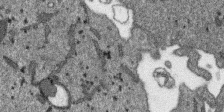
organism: Human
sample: Lung epithelial cells infected with SARS-CoV-2